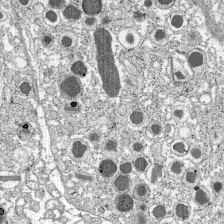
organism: C57BL Mouse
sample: Pancreatic islet